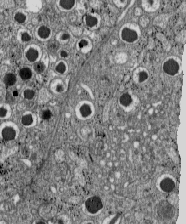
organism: C57BL Mouse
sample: Pancreatic islet